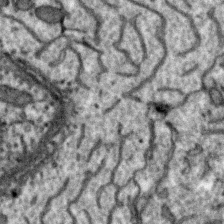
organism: Zebra finch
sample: Brain